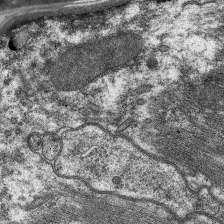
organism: C. elegans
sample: Pharynx